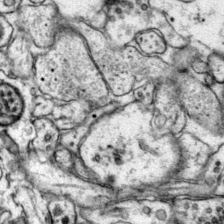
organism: Mouse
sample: Primary visual cortex